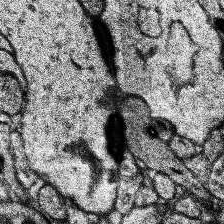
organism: Human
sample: Temporal Lobe